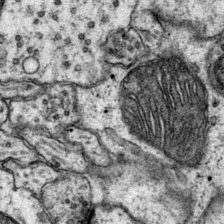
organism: Mouse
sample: Primary visual cortex